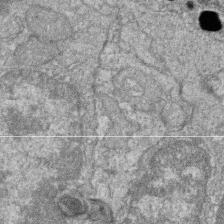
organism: Zebrafish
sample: Cilia; retinal pigment epithelium